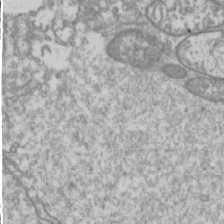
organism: Drosophila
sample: Cell division; meiosis; drosophila spermatocytes